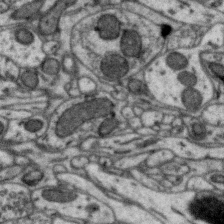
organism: Zebra finch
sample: Brain